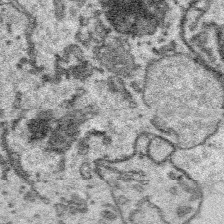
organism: Platynereis dumerilii